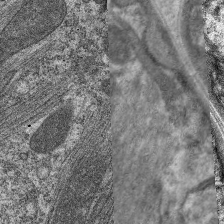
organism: C. elegans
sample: Pharynx